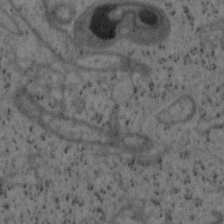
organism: Human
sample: HeLa cells